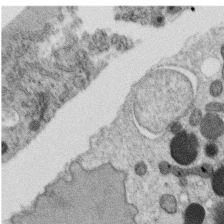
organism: C. elegans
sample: C. elegans oocyte; sperm cells